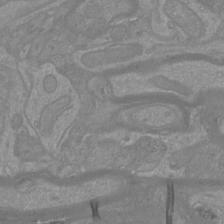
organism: Mouse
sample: Cortical neurons